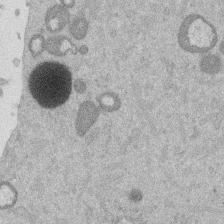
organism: Mouse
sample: Dividing mouse embryo 1 cell stage